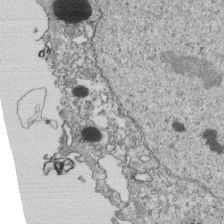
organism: Human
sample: HeLa cell HIV synapse